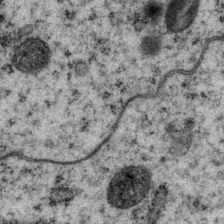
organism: P. pacificus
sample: Pharynx